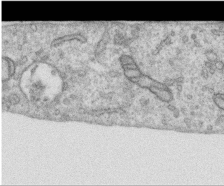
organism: Human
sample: Centriole in RPE cells